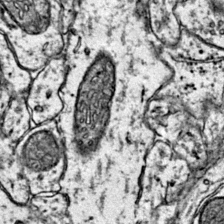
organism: Mouse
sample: Primary visual cortex